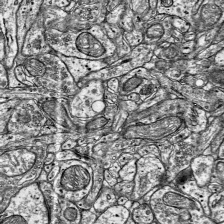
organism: Mouse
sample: Visual Cortex